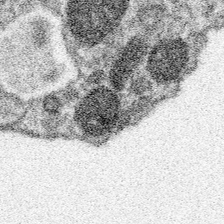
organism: Spongilla lacustris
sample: Neuroid cell